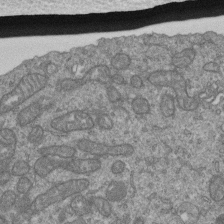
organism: Human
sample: Retinal organoid Rod and Cone cells